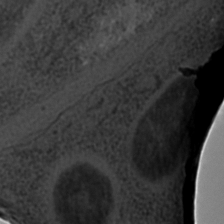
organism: C. elegans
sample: C. elegans embryo